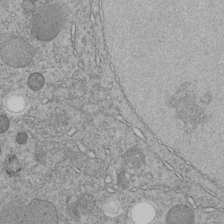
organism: C. elegans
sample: C. elegans embryo early stage